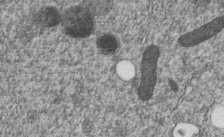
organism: C. elegans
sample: C. elegans embryo early stage